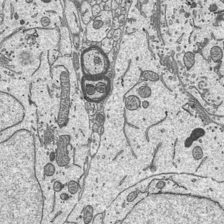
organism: Mouse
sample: Suprachiasmatic nucleus